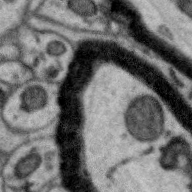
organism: Zebra finch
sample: Brain